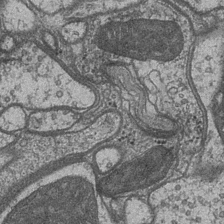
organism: Drosophila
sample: Optic medulla